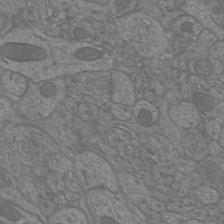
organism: Mouse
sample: Cortical neurons